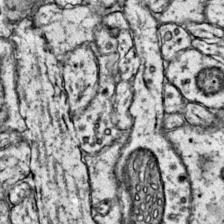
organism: Mouse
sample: Primary visual cortex